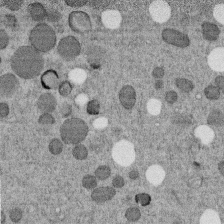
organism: C. elegans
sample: C. elegans embryo early stage